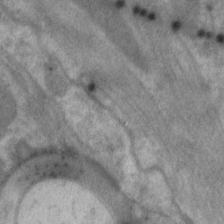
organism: C. elegans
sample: Pharynx